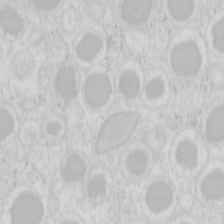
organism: Mouse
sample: Pancreas